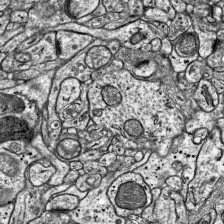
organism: Mouse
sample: Visual Cortex